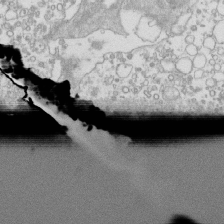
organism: Mouse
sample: Macrophages